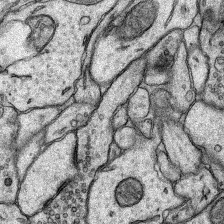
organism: Rat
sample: Hippocampus